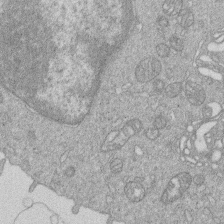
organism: Human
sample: Macrophage cells